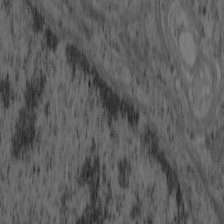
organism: Human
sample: HeLa cells